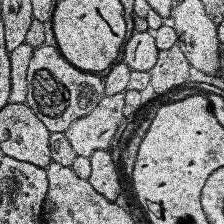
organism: Human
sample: Temporal Lobe